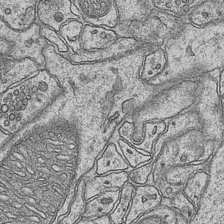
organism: Mouse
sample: CA1 Hippocampus